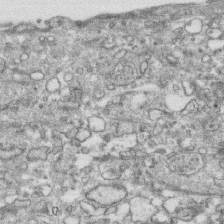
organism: Human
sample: CRL-1474